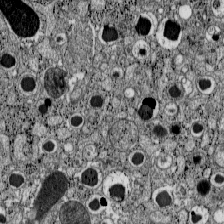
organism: C57BL Mouse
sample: Pancreatic islet